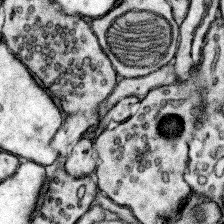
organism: Mouse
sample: Somatosensory cortex neuropil